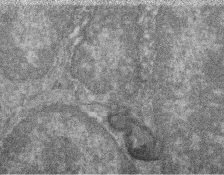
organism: Zebrafish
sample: Cilia; retinal pigment epithelium